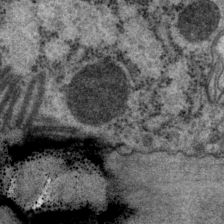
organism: P. pacificus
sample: Pharynx